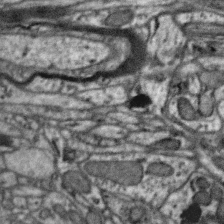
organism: Zebra finch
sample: Brain